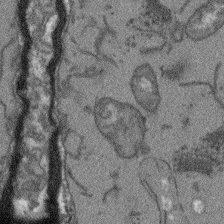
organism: Arabidopsis thaliana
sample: Root tip